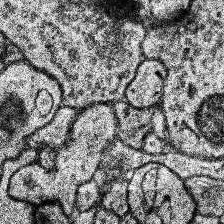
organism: Human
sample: Temporal Lobe